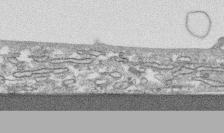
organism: Human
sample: CRL-1474